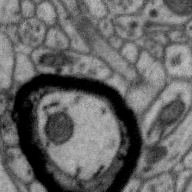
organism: Zebra finch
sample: Brain